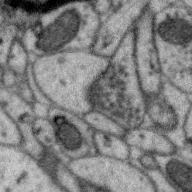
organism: Zebra finch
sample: Brain